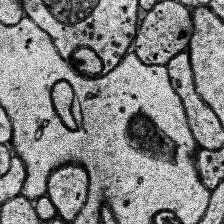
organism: Human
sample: Temporal Lobe